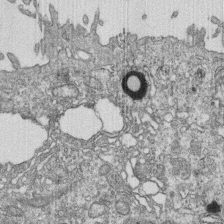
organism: Human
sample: HeLa cell HIV synapse